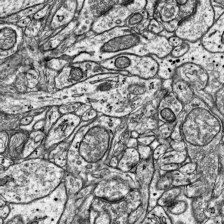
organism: Mouse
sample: Visual Cortex